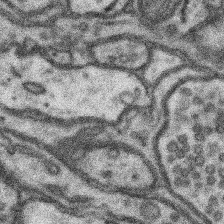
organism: Mouse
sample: Somatosensory cortex neuropil